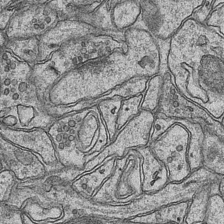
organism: Mouse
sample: CA1 Hippocampus